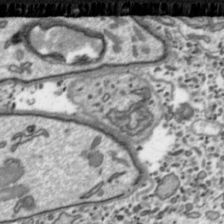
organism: Toxoplasma gondii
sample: Parasites in a vacuole inside a host cell